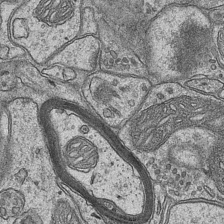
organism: Mouse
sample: CA1 Hippocampus